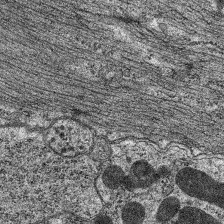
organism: C. elegans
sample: Pharynx